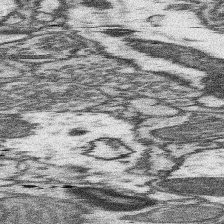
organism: Mouse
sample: Somatosensory cortex neuropil